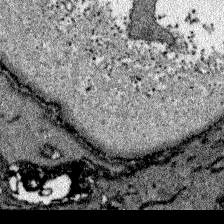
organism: Zebrafish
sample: Larval olfactory bulb